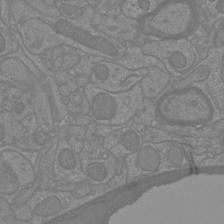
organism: Mouse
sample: Cortical neurons